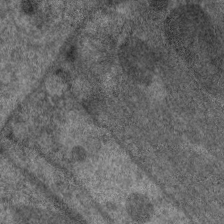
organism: C. elegans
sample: Pharynx